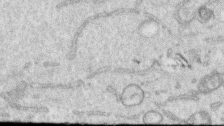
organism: Human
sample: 1205lu cells